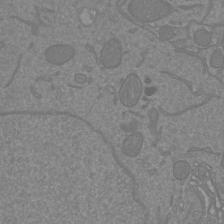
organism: Mouse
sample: Cortical neurons